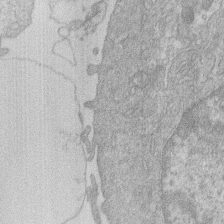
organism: Human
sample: Macrophage cells